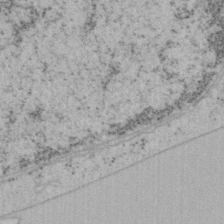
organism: Human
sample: HeLa cells